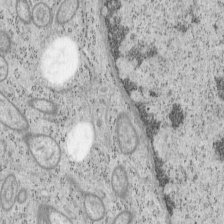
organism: Mouse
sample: OT-I killer T cells with ID8 ovarian cancer cells